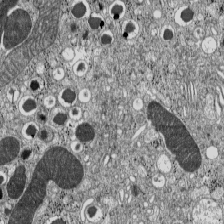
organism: C57BL Mouse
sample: Pancreatic islet